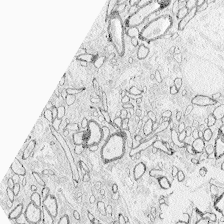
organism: Zebrafish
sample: Whole-Brain